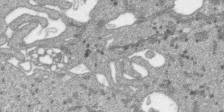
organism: Human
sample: Lung epithelial cells infected with SARS-CoV-2